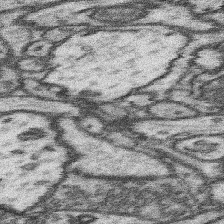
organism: Mouse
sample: Somatosensory cortex neuropil